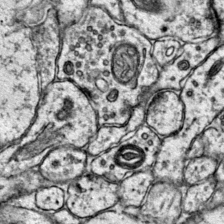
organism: Mouse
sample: Primary visual cortex